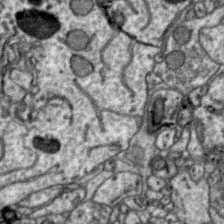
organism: Zebra finch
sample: Brain